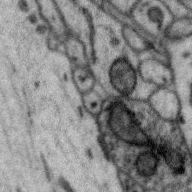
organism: Zebra finch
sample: Brain